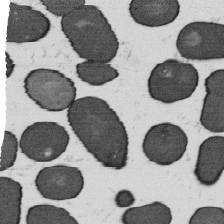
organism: B. subtilis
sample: Bacterial spore